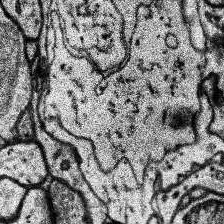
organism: Human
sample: Temporal Lobe